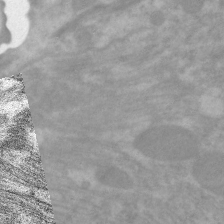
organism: C. elegans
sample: Pharynx